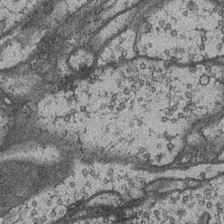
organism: Drosophila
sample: Optic medulla